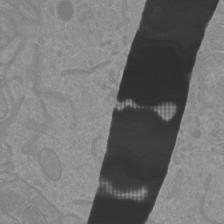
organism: Mouse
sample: Cortical neurons